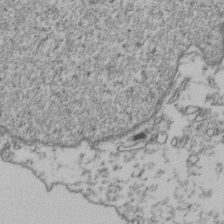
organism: Human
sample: Activated Jurkat CD4+ T cells